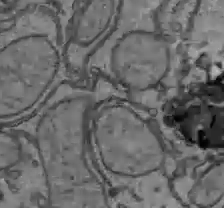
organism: C57BL Mouse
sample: Liver